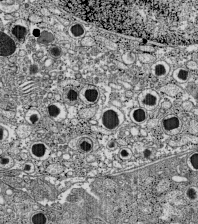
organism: C57BL Mouse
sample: Pancreatic islet